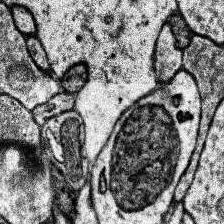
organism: Human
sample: Temporal Lobe